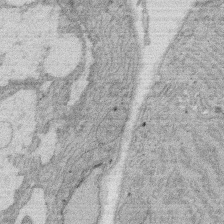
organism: Rat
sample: Salivary granule